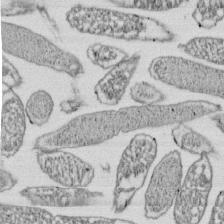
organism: E. coli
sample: Bacterial nucleoid